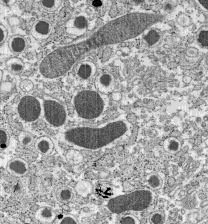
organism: C57BL Mouse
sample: Pancreatic islet